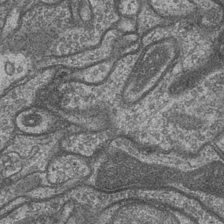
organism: Drosophila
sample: Optic medulla